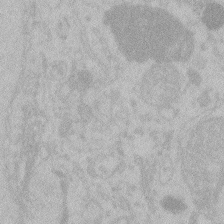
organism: Zebrafish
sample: Macrophage infected with Toxoplasma gondii